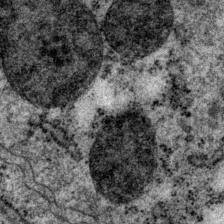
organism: P. pacificus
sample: Pharynx